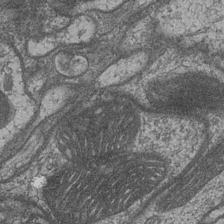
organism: Drosophila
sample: Optic medulla